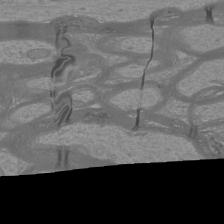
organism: Mouse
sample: Cortical neurons